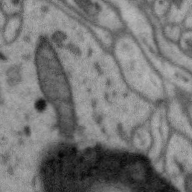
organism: Zebra finch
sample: Brain